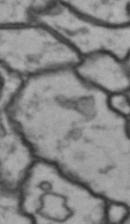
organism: Drosophila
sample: Brain